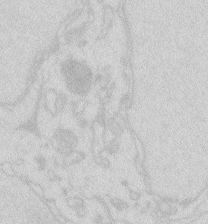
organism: Zebrafish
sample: Macrophage